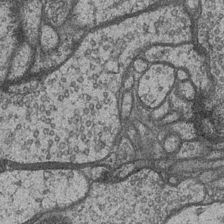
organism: Drosophila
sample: Optic medulla